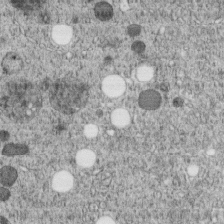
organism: C. elegans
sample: C. elegans embryo early stage